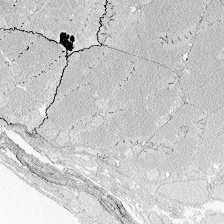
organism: Zebrafish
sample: Whole-Brain